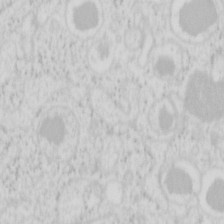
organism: Mouse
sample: Pancreas